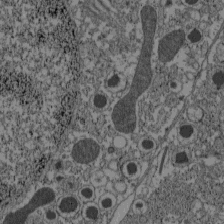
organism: C57BL Mouse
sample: Pancreatic islet